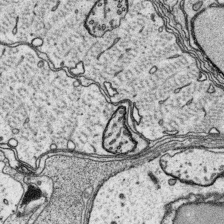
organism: Platynereis dumerilii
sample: Parapodia